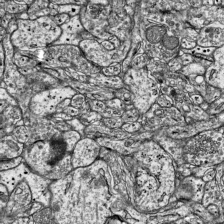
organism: Mouse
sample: Visual Cortex